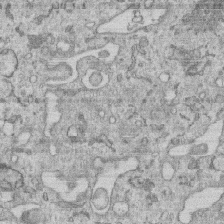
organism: Human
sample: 1205lu cells